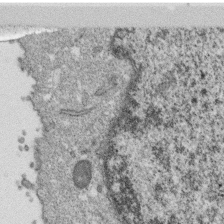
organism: African green monkey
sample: Vero E6 cells infected with SARS-CoV-2